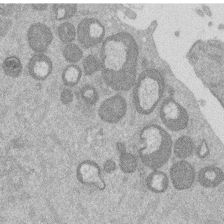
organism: Mouse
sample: Dividing mouse embryo 1 cell stage